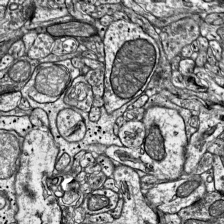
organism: Mouse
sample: Visual Cortex